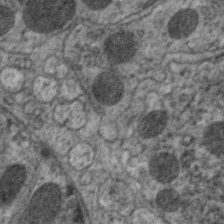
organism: C. elegans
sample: Pharynx